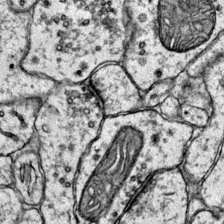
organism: Mouse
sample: Primary visual cortex